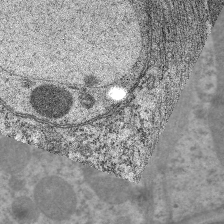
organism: C. elegans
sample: Pharynx